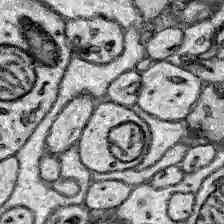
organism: Zebrafish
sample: Brain